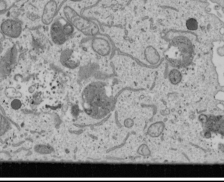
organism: Human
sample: Mitochondria in U2OS cells